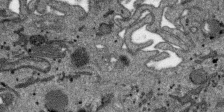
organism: Human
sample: Lung epithelial cells, uninfected (mock) control